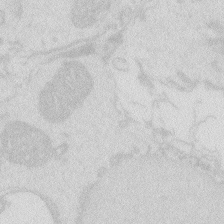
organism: Zebrafish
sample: Macrophage